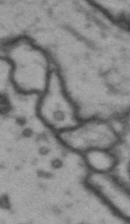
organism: Drosophila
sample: Brain